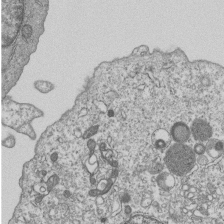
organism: Human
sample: MDA-MB-231 cells